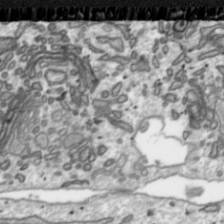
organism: Toxoplasma gondii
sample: Parasites in a vacuole inside a host cell